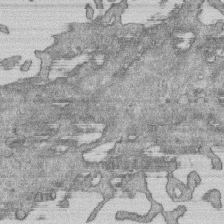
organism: Human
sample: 1205lu cells